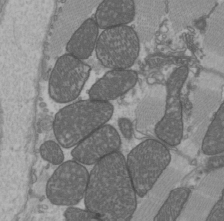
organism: C57BL Mouse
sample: Heart